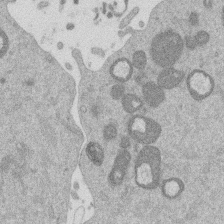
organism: Mouse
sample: Dividing mouse embryo 1 cell stage